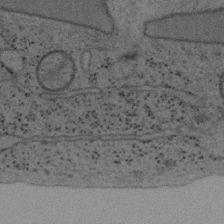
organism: Human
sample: HeLa cells